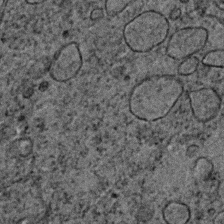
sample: Trachea